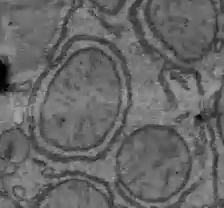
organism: C57BL Mouse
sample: Liver